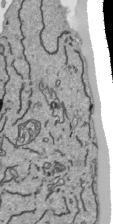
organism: Human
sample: Mitochondria in HCT116 cells